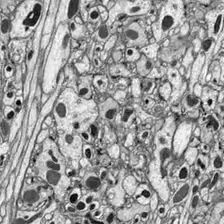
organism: Drosophila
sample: Optic lobe